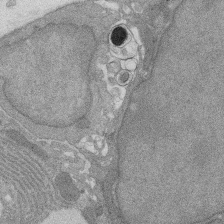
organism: Rat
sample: Salivary granule